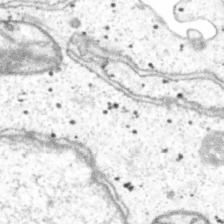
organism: Human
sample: HeLa cells